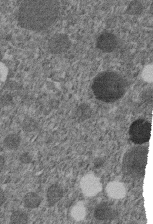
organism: C. elegans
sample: C. elegans embryo early stage